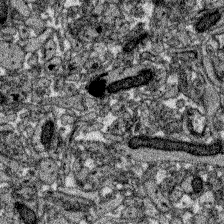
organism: Zebrafish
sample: Larval olfactory bulb